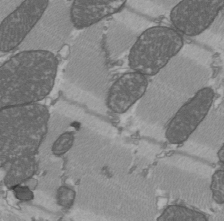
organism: C57BL Mouse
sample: Heart